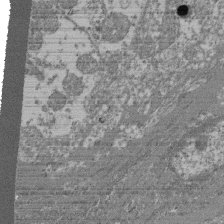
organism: Mouse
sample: Glomerulus